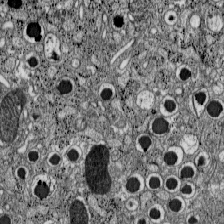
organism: C57BL Mouse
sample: Pancreatic islet